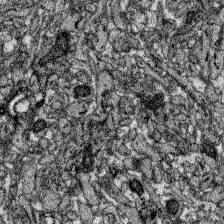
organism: Zebrafish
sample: Larval olfactory bulb